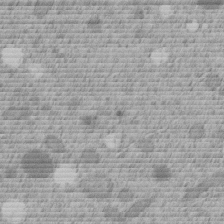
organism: C. elegans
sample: C. elegans embryo early stage